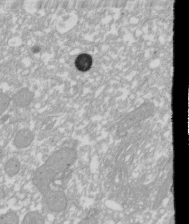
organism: Xenopus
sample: Cilia; centrioles in frog embryo cells